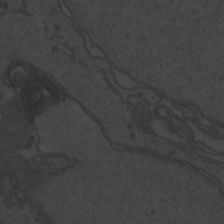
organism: Zebrafish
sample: Macrophage infected with Toxoplasma gondii